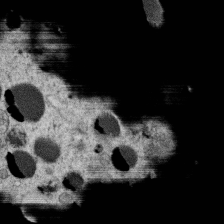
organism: C. elegans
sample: C. elegans oocyte; sperm cells